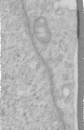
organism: Human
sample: Centriole in RPE cells